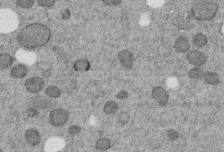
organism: C. elegans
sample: C. elegans embryo early stage